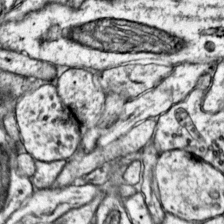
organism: Mouse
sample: Primary visual cortex